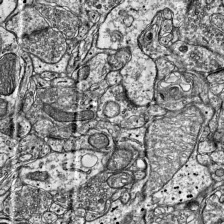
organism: Mouse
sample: Visual Cortex